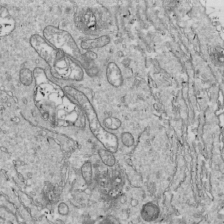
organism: Drosophila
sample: Cell division; meiosis; drosophila spermatocytes